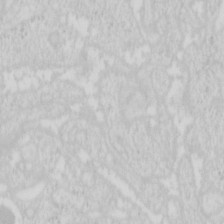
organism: Mouse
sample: Pancreas